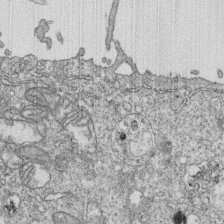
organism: Human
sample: HeLa cell HIV synapse